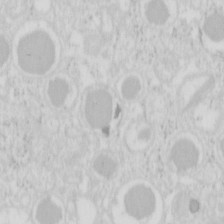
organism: Mouse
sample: Pancreas